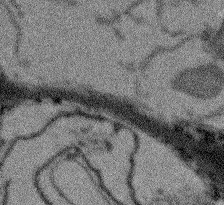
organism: Arabidopsis thaliana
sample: Root tip